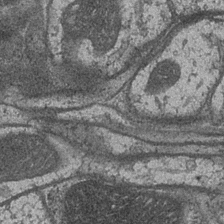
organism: Drosophila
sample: Optic medulla